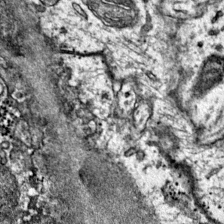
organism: Mouse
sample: Primary visual cortex